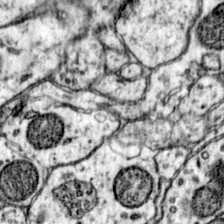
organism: Mouse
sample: Primary visual cortex